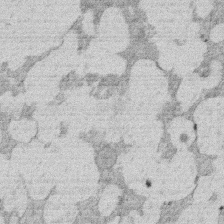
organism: Rat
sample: Salivary granule